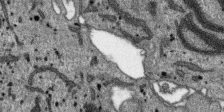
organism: Human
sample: Lung epithelial cells, uninfected (mock) control